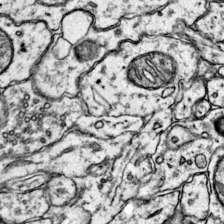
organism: Mouse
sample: Primary visual cortex